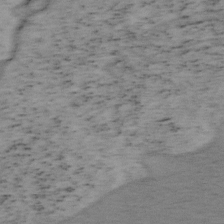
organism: Mouse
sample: OT-I killer T cells with ID8 ovarian cancer cells